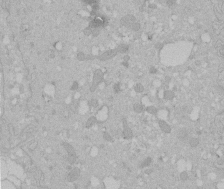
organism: Human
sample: Melanocyte Keratinocyte synapse skin construct